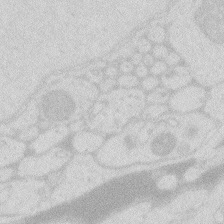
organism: Zebrafish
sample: Macrophage